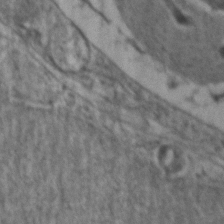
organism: Zebrafish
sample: Zebrafish embryo